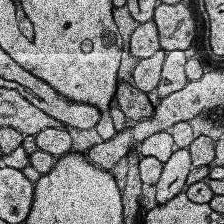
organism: Human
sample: Temporal Lobe